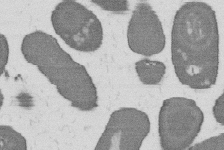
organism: B. subtilis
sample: Bacterial spore